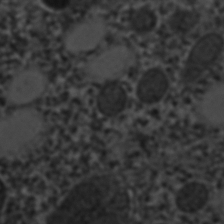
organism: C. elegans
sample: C. elegans embryo